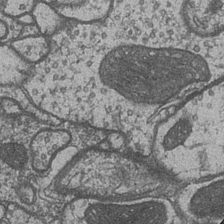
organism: Drosophila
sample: Optic medulla